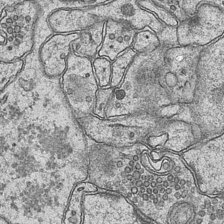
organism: Mouse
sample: CA1 Hippocampus